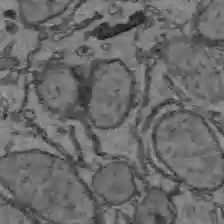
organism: C57BL Mouse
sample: Liver